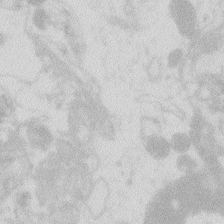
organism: Zebrafish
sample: Macrophage